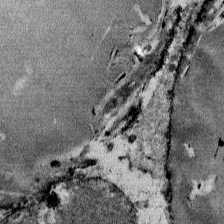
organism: Mouse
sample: Mouse Salivary gland